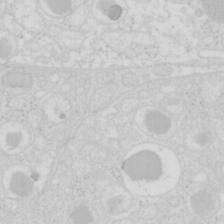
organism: Mouse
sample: Pancreas